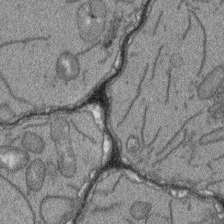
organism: Arabidopsis thaliana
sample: Root tip